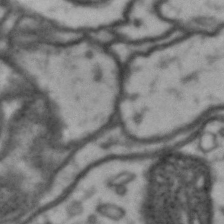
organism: Drosophila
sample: Brain